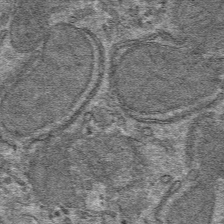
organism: Mouse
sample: Mouse hepatocytes